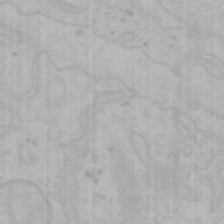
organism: Mouse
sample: Choroid plexus